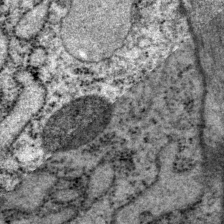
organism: P. pacificus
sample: Pharynx